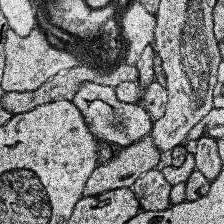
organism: Human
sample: Temporal Lobe